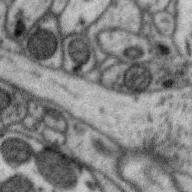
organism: Zebra finch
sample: Brain